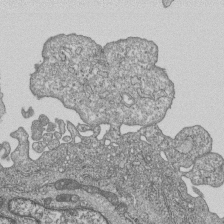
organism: Human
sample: MDA-MB-231 cells